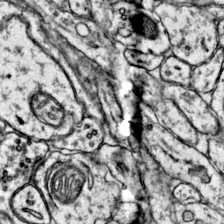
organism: Mouse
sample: Primary visual cortex